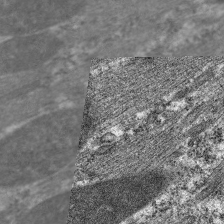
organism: C. elegans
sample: Pharynx